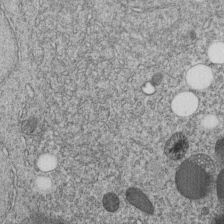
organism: C. elegans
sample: C. elegans embryo early stage